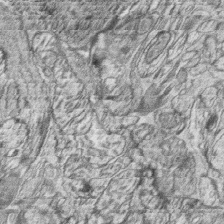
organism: Zebrafish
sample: synaptic ribbons in rod cells and cone cells